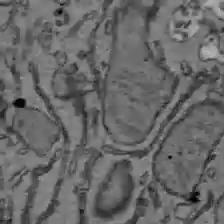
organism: C57BL Mouse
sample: Liver